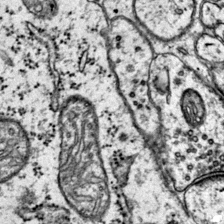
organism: Mouse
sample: Primary visual cortex